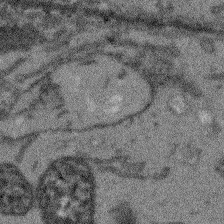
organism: Arabidopsis thaliana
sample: Root tip